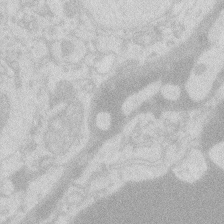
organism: Zebrafish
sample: Macrophage